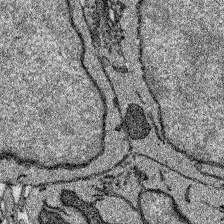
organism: Zebrafish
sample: Larval olfactory bulb